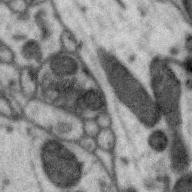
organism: Zebra finch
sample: Brain